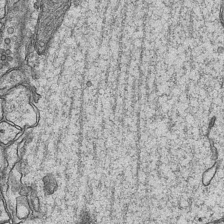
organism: Mouse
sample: CA1 Hippocampus